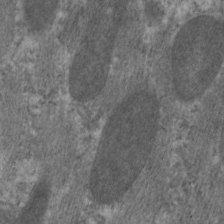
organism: C. elegans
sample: Pharynx